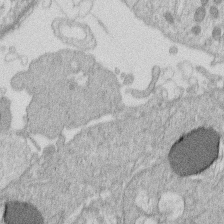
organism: Human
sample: Macrophage cells